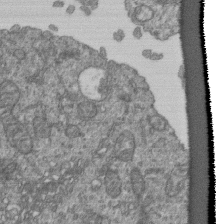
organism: Human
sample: Retinal organoid Rod and Cone cells